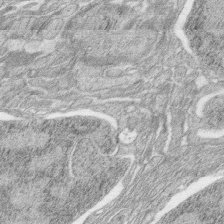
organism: Zebrafish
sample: synaptic ribbons in rod cells and cone cells